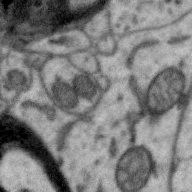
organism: Zebra finch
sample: Brain